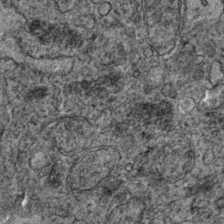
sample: Trachea